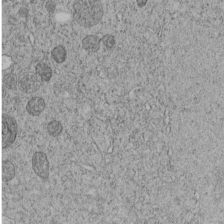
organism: C. elegans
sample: C. elegans embryo early stage